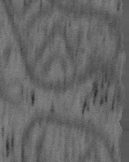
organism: Human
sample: HeLa cells